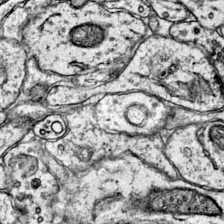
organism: Mouse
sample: Primary visual cortex